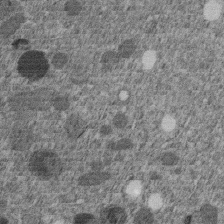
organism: C. elegans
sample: C. elegans embryo early stage